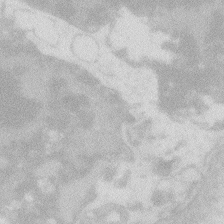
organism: Zebrafish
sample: Macrophage